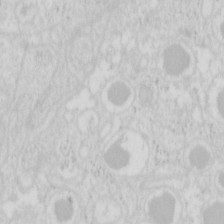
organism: Mouse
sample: Pancreas